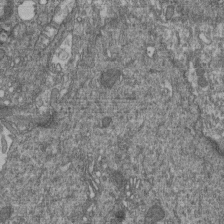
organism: Human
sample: Retinal organoid Rod and Cone cells